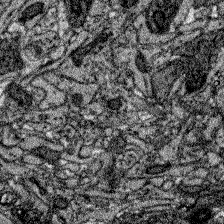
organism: Zebrafish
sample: Larval olfactory bulb